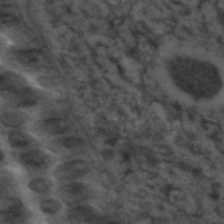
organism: C. elegans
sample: C. elegans embryo